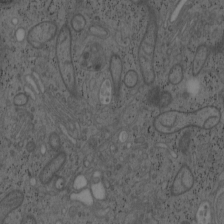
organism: Mouse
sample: OT-I killer T cells with ID8 ovarian cancer cells